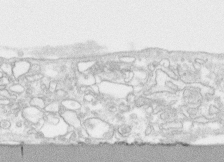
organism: Human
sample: CRL-1474